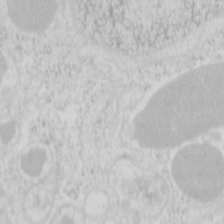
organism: Mouse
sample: Pancreas